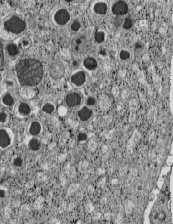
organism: C57BL Mouse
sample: Pancreatic islet